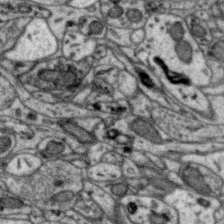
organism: Zebra finch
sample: Brain